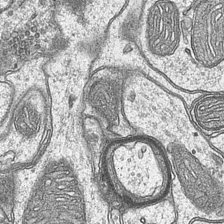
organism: Mouse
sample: CA1 Hippocampus